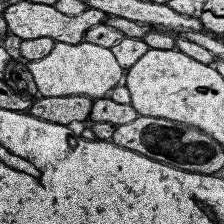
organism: Human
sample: Temporal Lobe